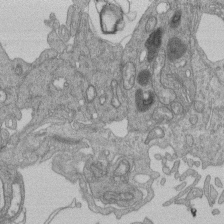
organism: Human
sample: Retinal organoid Rod and Cone cells